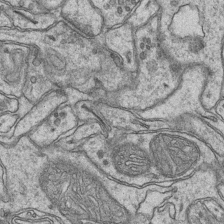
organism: Mouse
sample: CA1 Hippocampus